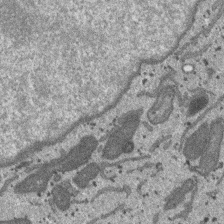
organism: Human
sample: Lung epithelial cells infected with SARS-CoV-2